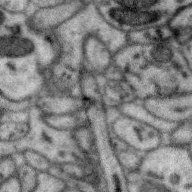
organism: Zebra finch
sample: Brain